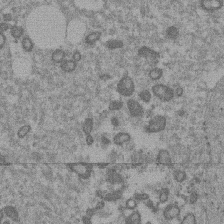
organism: Mouse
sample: Dividing mouse embryo 1 cell stage